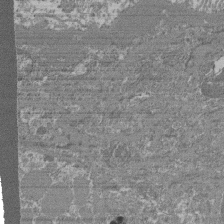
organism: Mouse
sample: Glomerulus